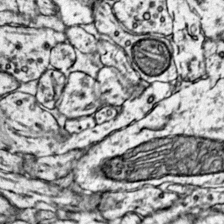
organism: Mouse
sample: Primary visual cortex